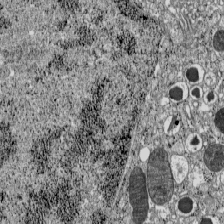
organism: C57BL Mouse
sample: Pancreatic islet